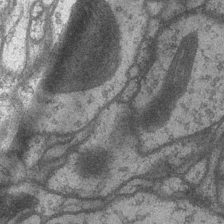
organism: Drosophila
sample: Optic medulla